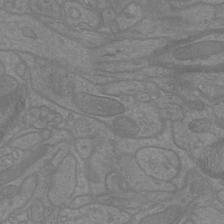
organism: Mouse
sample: Cortical neurons